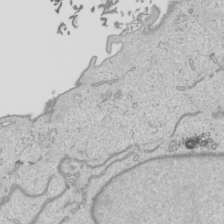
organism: Human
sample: Mitochondria in HCT116 cells